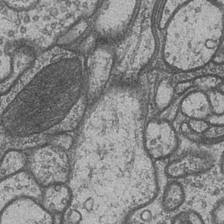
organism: Drosophila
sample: Optic medulla